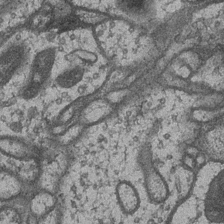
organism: Drosophila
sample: Optic medulla